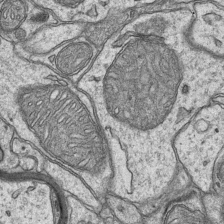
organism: Mouse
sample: CA1 Hippocampus